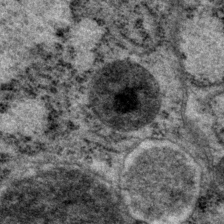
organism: P. pacificus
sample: Pharynx